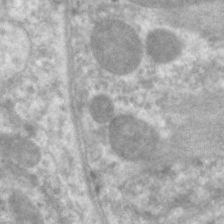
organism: C. elegans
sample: Pharynx